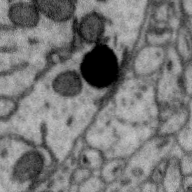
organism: Zebra finch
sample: Brain